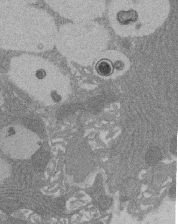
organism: Rat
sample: Salivary granule